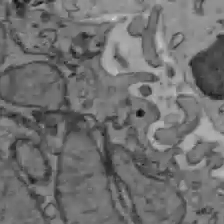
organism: C57BL Mouse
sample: Liver